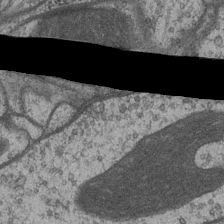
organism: Drosophila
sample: Optic medulla